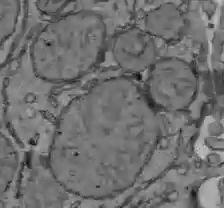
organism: C57BL Mouse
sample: Liver